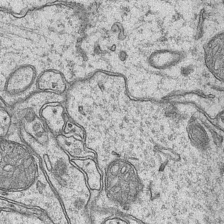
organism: Mouse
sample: CA1 Hippocampus